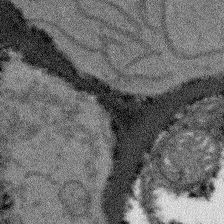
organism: Arabidopsis thaliana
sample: Root tip